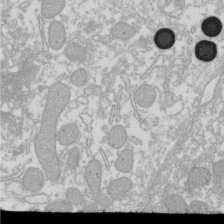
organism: Xenopus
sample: Cilia; centrioles in frog embryo cells